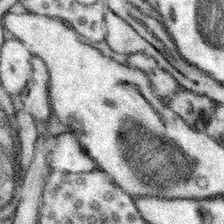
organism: Mouse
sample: Somatosensory cortex neuropil